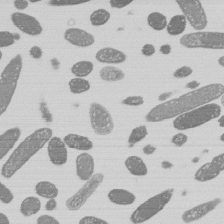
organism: E. coli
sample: Bacterial nucleoid